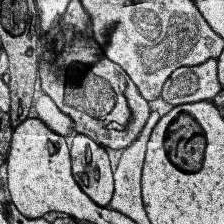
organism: Human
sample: Temporal Lobe